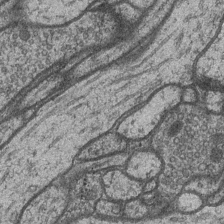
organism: Drosophila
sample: Optic medulla